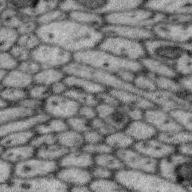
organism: Zebra finch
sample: Brain